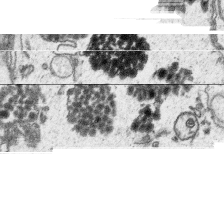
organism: Platynereis dumerilii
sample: Parapodia